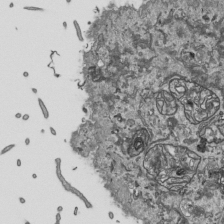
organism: Human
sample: Mitochondria in HCT116 cells